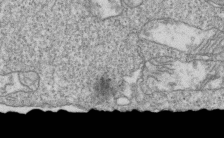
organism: Human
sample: HeLa cell HIV synapse